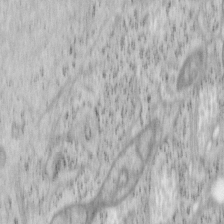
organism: Human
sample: HeLa cells